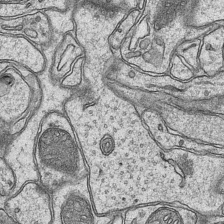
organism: Mouse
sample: CA1 Hippocampus